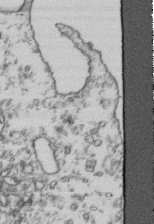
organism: Human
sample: Activated Jurkat CD4+ T cells